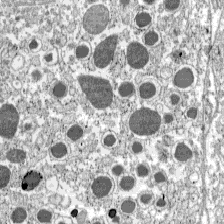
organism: C57BL Mouse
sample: Pancreatic islet